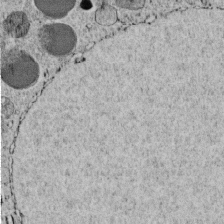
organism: C. elegans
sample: C. elegans embryo early stage